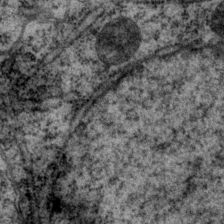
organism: P. pacificus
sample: Pharynx